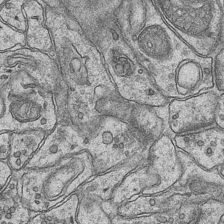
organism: Mouse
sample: CA1 Hippocampus